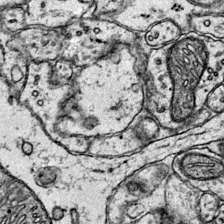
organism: Mouse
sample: Primary visual cortex